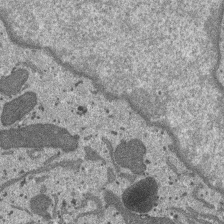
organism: Human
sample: Lung epithelial cells infected with SARS-CoV-2